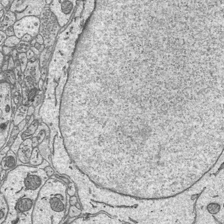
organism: Mouse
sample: Suprachiasmatic nucleus